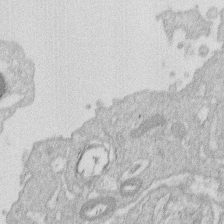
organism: Human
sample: Macrophage cells